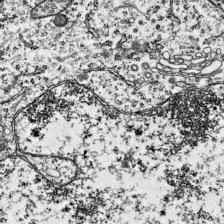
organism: Mouse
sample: Visual Cortex